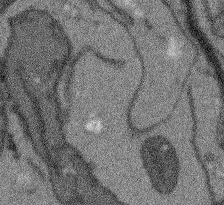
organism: Arabidopsis thaliana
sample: Root tip